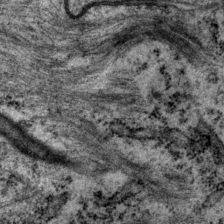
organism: P. pacificus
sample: Pharynx